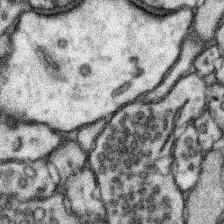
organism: Mouse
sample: Somatosensory cortex neuropil